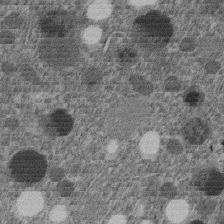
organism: C. elegans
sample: C. elegans embryo early stage